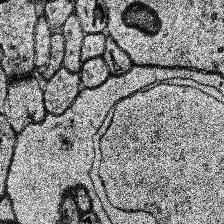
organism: Human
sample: Temporal Lobe